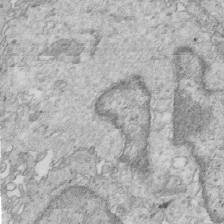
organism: Mouse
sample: Multiciliated cells